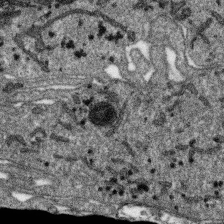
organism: Human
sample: Lung epithelial cells infected with SARS-CoV-2